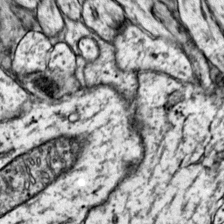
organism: Mouse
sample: Primary visual cortex